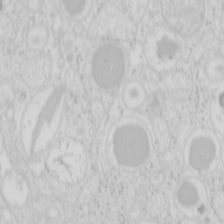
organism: Mouse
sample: Pancreas